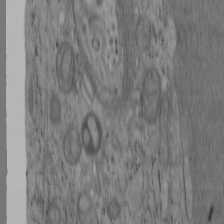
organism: Human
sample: HeLa cells